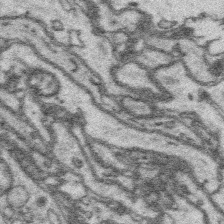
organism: Platynereis dumerilii